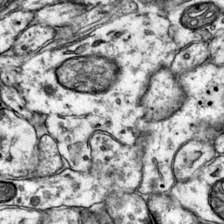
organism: Mouse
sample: Primary visual cortex